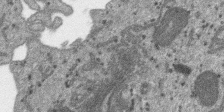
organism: Human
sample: Lung epithelial cells infected with SARS-CoV-2